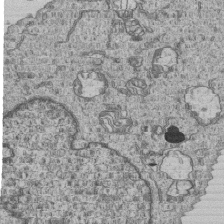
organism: Human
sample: MDA-MB-231 cells